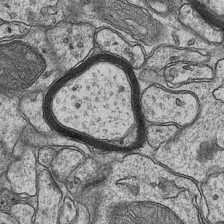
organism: Mouse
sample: CA1 Hippocampus